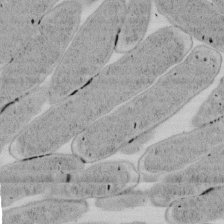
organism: E. coli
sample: Bacterial nucleoid